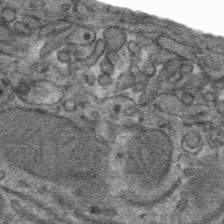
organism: Mouse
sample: Mouse hepatocytes